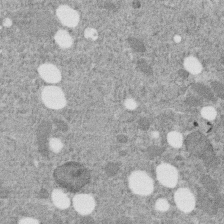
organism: C. elegans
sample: C. elegans embryo early stage